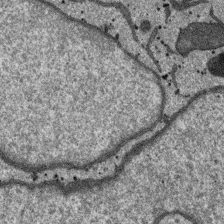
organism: Human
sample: Lung epithelial cells, uninfected (mock) control